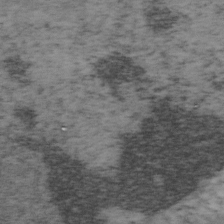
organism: Mouse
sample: OT-I killer T cells with ID8 ovarian cancer cells